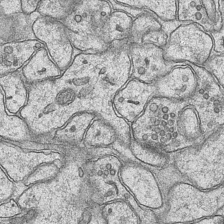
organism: Mouse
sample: CA1 Hippocampus